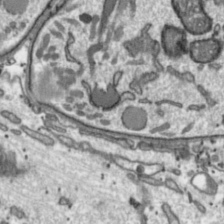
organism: Toxoplasma gondii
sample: Parasites in a vacuole inside a host cell